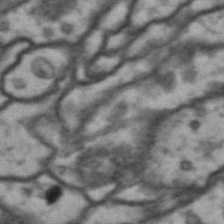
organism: Drosophila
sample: Brain